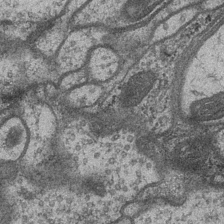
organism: Drosophila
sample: Optic medulla